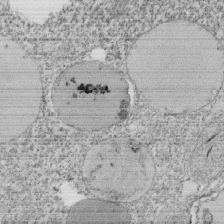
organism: Tetrahymena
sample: Cilia in tetrahymena